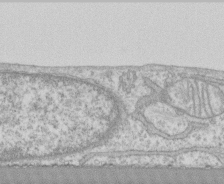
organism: Human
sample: CRL-1474